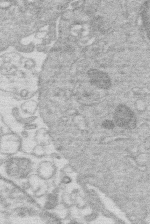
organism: Human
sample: Macrophage cells